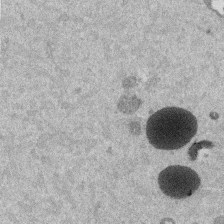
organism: Mouse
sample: Dividing mouse embryo 1 cell stage